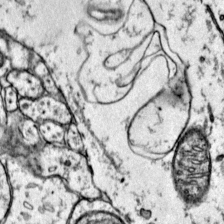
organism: Mouse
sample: Primary visual cortex